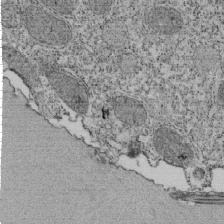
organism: Tetrahymena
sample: Cilia in tetrahymena